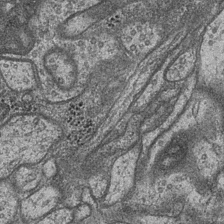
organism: Drosophila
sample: Optic medulla